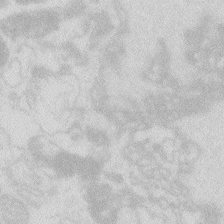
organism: Zebrafish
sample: Macrophage